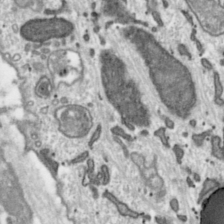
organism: Toxoplasma gondii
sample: Parasites in a vacuole inside a host cell